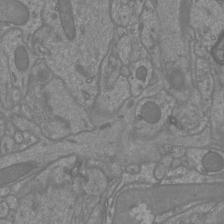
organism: Mouse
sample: Cortical neurons